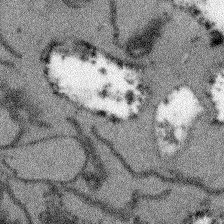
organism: Arabidopsis thaliana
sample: Root tip